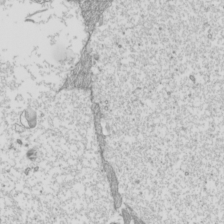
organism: Mouse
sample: Cilia; mouse epididymis